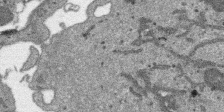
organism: Human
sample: Lung epithelial cells infected with SARS-CoV-2